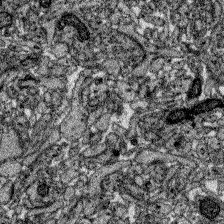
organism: Zebrafish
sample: Larval olfactory bulb